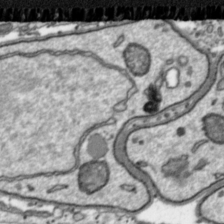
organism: Toxoplasma gondii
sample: Parasites in a vacuole inside a host cell